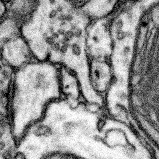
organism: Mouse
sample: Somatosensory cortex neuropil